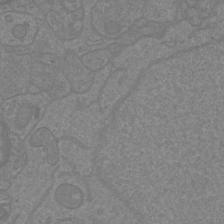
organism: Mouse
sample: Cortical neurons